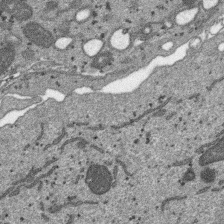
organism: Human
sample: Lung epithelial cells infected with SARS-CoV-2